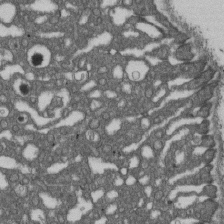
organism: Drosophila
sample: Nephrocyte